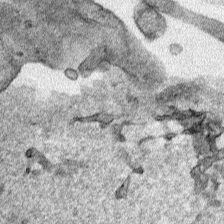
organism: Human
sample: Mitochondria in HCT116 cells